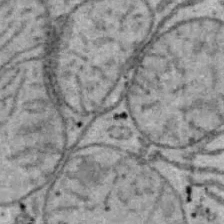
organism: Mouse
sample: Liver from an obese (ob/ob) mouse